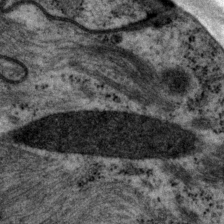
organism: P. pacificus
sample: Pharynx